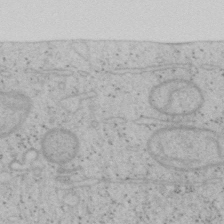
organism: Human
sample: HeLa cells